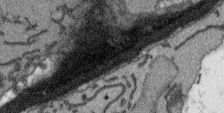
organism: Arabidopsis thaliana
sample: Root tip